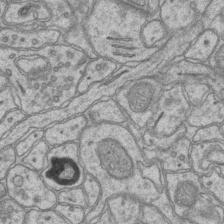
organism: Mouse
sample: CA1 Hippocampus